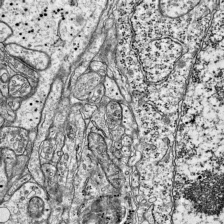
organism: Mouse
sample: Visual Cortex